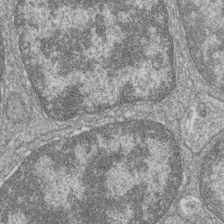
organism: Zebrafish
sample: Cilia; retinal pigment epithelium